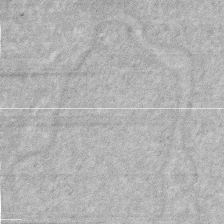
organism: Human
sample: HIV infected U937 cells